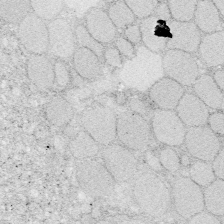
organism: Zebrafish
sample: Whole-Brain